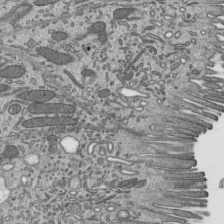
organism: Mouse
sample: Mouse epididymis efferent ductule cilia